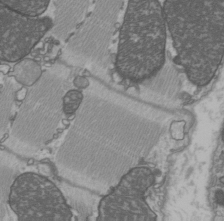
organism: C57BL Mouse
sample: Heart